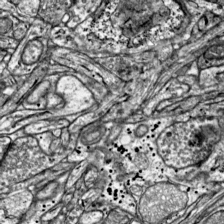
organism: Mouse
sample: Visual Cortex